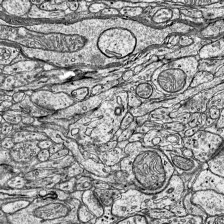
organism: Mouse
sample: Visual Cortex